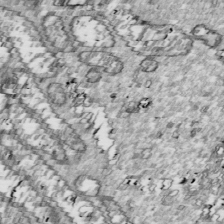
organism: Drosophila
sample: Cell division; meiosis; drosophila spermatocytes